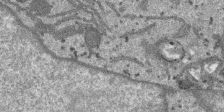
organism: Human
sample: Lung epithelial cells infected with SARS-CoV-2